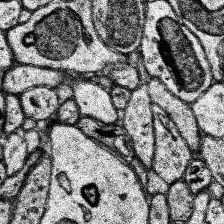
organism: Human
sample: Temporal Lobe